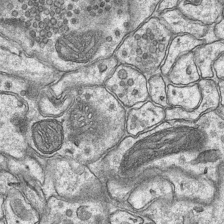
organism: Mouse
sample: CA1 Hippocampus